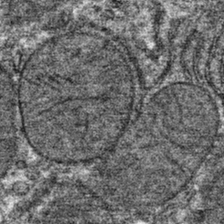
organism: Mouse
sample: Mouse hepatocytes